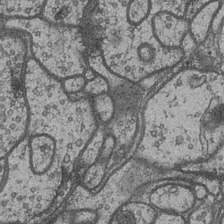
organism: Drosophila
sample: Optic medulla